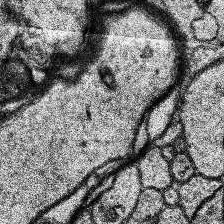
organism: Human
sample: Temporal Lobe